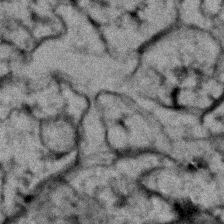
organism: Zebrafish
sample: Zebrafish embryo